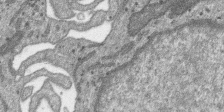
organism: Human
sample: Lung epithelial cells infected with SARS-CoV-2